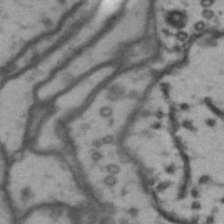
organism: Drosophila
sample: Brain